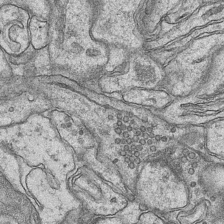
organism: Mouse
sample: CA1 Hippocampus